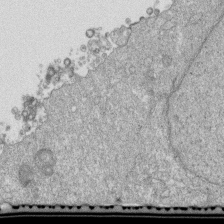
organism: Human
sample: HeLa cell HIV synapse